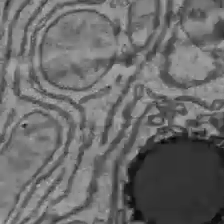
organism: C57BL Mouse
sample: Liver